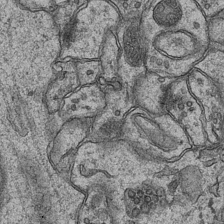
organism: Mouse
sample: CA1 Hippocampus